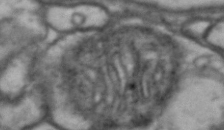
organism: Drosophila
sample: Brain